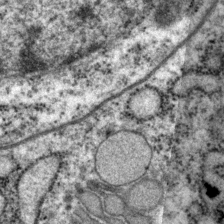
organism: P. pacificus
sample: Pharynx